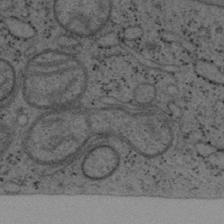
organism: Human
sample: HeLa cells